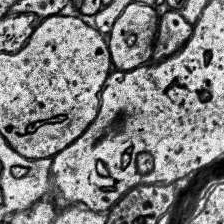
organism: Human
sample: Temporal Lobe